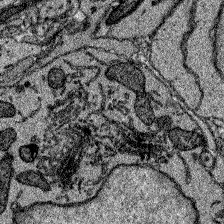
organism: Zebrafish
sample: Larval olfactory bulb